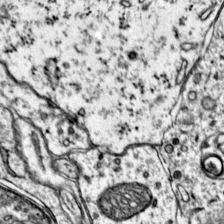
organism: Mouse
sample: Primary visual cortex